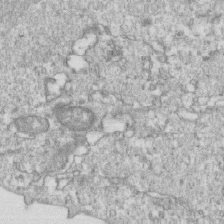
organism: Mouse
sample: Activated OT-1 CD8+ T cells